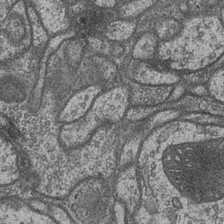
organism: Drosophila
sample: Optic medulla